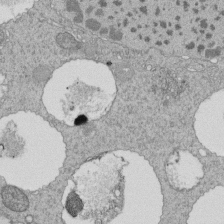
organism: Tetrahymena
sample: Cilia in tetrahymena